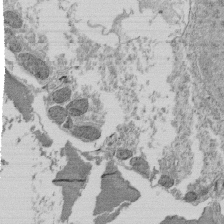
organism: Tetrahymena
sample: Cilia in tetrahymena